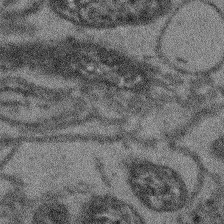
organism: Arabidopsis thaliana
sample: Root tip